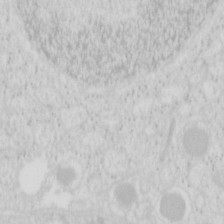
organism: Mouse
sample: Pancreas